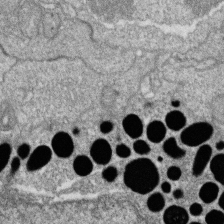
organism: Zebrafish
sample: Cilia; retinal pigment epithelium